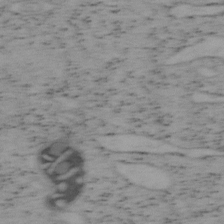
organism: Mouse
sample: OT-I killer T cells with ID8 ovarian cancer cells